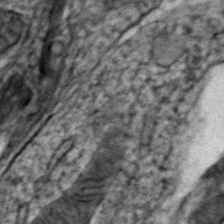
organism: Zebrafish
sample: Zebrafish embryo